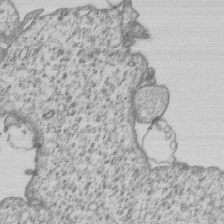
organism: Human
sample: MDA-MB-231 cells